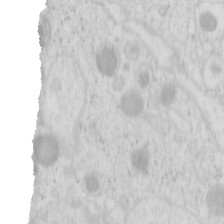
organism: Mouse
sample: Pancreas